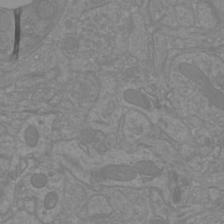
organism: Mouse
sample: Cortical neurons